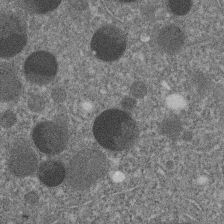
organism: C. elegans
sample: C. elegans embryo early stage